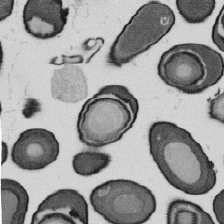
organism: B. subtilis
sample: Bacterial spore